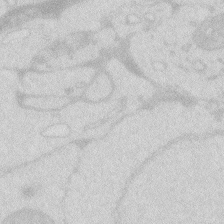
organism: Zebrafish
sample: Macrophage